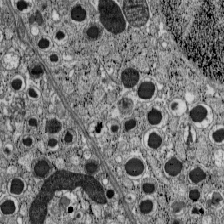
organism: C57BL Mouse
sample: Pancreatic islet